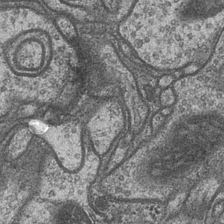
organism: Drosophila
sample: Optic medulla